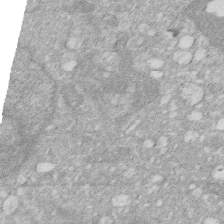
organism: Human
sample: HIV infected U937 cells